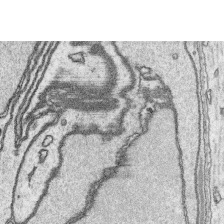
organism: Platynereis dumerilii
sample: Parapodia